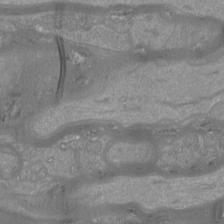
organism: Mouse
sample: Cortical neurons